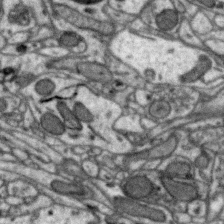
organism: Zebra finch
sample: Brain